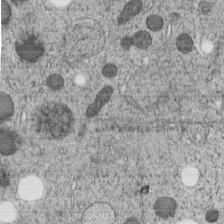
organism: C. elegans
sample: C. elegans embryo early stage